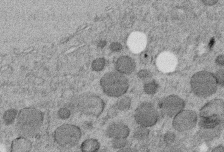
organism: C. elegans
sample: C. elegans embryo early stage